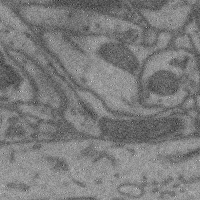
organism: Mouse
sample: Cerebral cortex